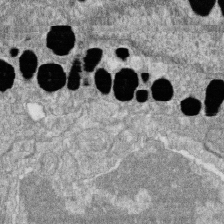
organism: Zebrafish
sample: Cilia; retinal pigment epithelium